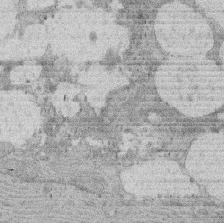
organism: Rat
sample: Salivary granule